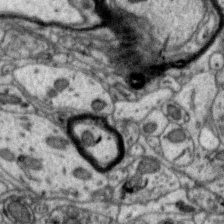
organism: Zebra finch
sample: Brain